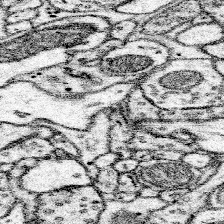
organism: Mouse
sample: Somatosensory cortex neuropil